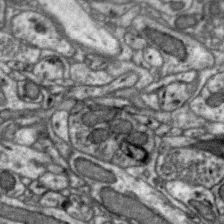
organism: Zebra finch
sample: Brain